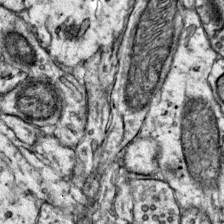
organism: Mouse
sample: Primary visual cortex